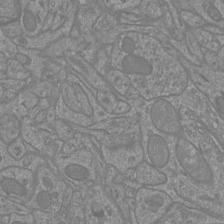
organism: Mouse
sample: Cortical neurons